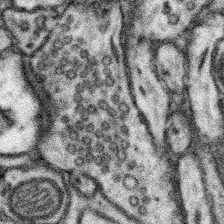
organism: Mouse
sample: Somatosensory cortex neuropil